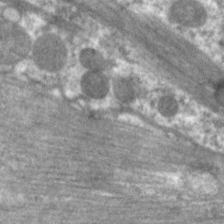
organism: C. elegans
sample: Pharynx